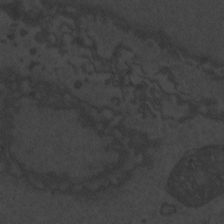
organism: Zebrafish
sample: Macrophage infected with Toxoplasma gondii